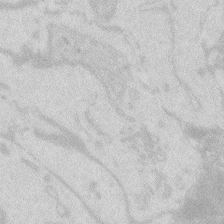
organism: Zebrafish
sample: Macrophage